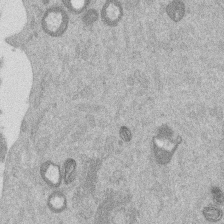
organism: Mouse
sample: Dividing mouse embryo 1 cell stage